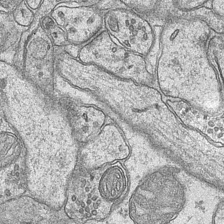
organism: Mouse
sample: CA1 Hippocampus